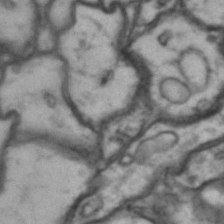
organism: Drosophila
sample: Brain